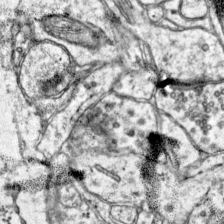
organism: Mouse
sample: Primary visual cortex